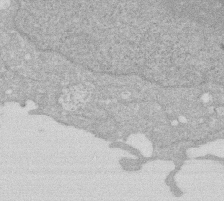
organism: Human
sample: HIV infected U937 cells